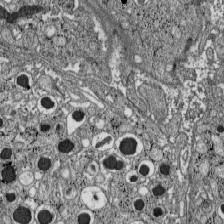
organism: C57BL Mouse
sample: Pancreatic islet